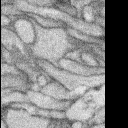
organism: Rabbit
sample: Retina